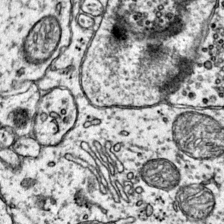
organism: Mouse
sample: Primary visual cortex